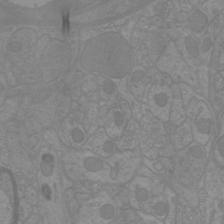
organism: Mouse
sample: Cortical neurons